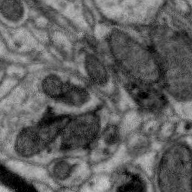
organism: Zebra finch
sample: Brain